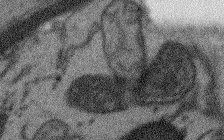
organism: Arabidopsis thaliana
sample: Root tip